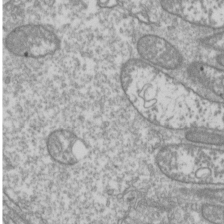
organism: Drosophila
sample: Cell division; meiosis; drosophila spermatocytes